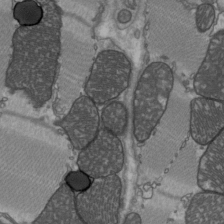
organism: C57BL Mouse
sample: Heart